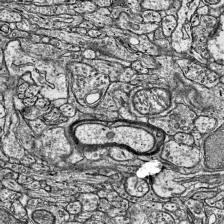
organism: Mouse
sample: Visual Cortex